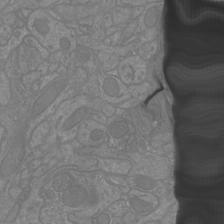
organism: Mouse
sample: Cortical neurons